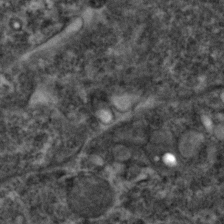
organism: Zebrafish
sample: Zebrafish embryo